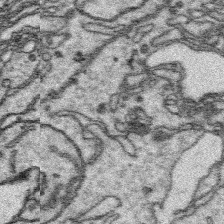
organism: Platynereis dumerilii